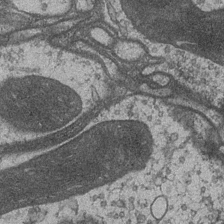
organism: Drosophila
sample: Optic medulla